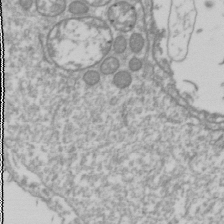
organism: Drosophila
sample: Cell division; meiosis; drosophila spermatocytes